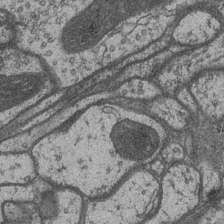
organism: Drosophila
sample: Optic medulla